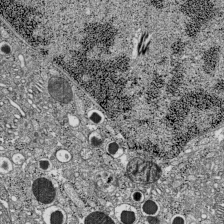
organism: C57BL Mouse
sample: Pancreatic islet